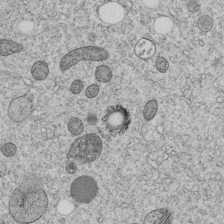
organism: C. elegans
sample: C. elegans embryo early stage